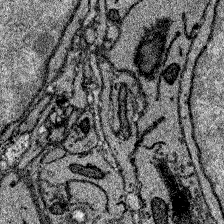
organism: Zebrafish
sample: Larval olfactory bulb